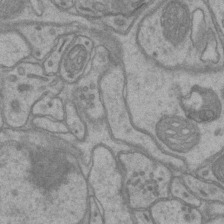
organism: Mouse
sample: CA1 Hippocampus